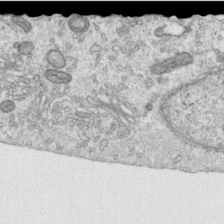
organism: Human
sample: Centriole in RPE cells